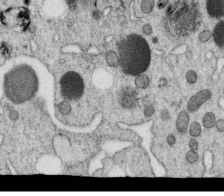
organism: C. elegans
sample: C. elegans oocyte; sperm cells